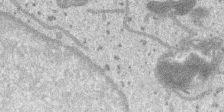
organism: Human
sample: Lung epithelial cells infected with SARS-CoV-2